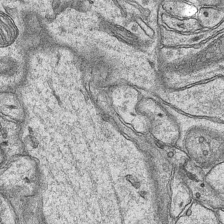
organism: Mouse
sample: CA1 Hippocampus